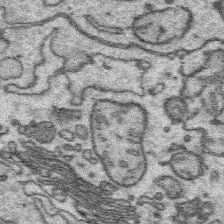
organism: Platynereis dumerilii